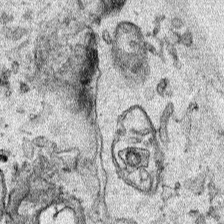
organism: Human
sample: Mitochondria in HCT116 cells